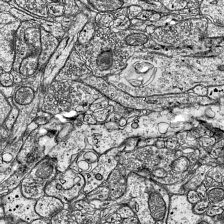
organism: Mouse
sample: Visual Cortex